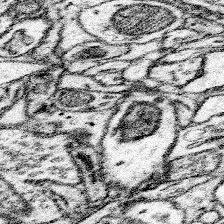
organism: Mouse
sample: Somatosensory cortex neuropil